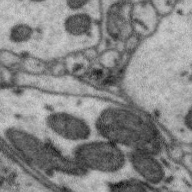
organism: Zebra finch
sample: Brain